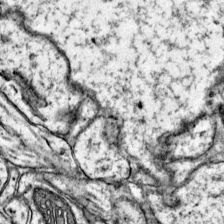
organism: Mouse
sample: Primary visual cortex